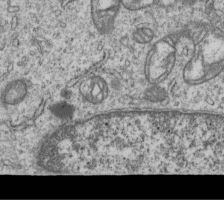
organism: Human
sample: MDA-MB-231 cells